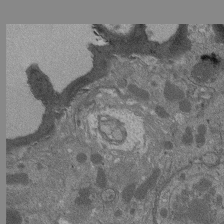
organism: Drosophila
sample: Antenna